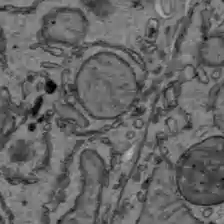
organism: C57BL Mouse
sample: Liver